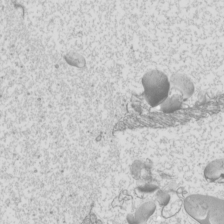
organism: Mouse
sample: Cilia; mouse epididymis